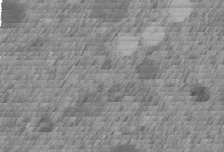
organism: C. elegans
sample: C. elegans embryo early stage